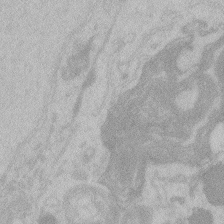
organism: Zebrafish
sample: Macrophage infected with Toxoplasma gondii